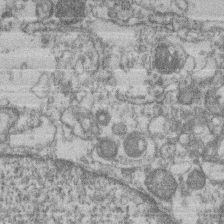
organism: Mouse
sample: T cell stromal cell synapse